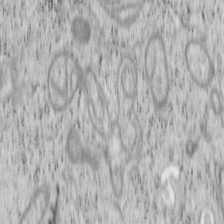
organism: Human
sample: HeLa cells